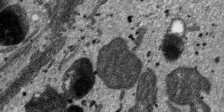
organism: Human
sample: Lung epithelial cells, uninfected (mock) control